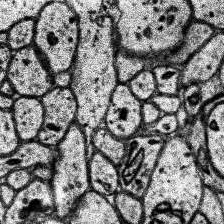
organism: Human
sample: Temporal Lobe